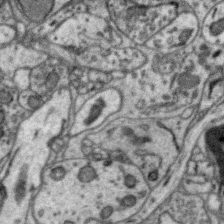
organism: Zebra finch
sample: Brain